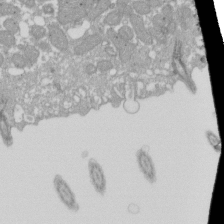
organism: Xenopus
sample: Cilia; centrioles in frog embryo cells